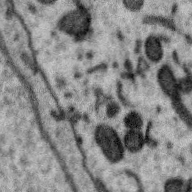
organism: Zebra finch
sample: Brain